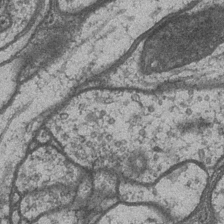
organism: Drosophila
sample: Optic medulla